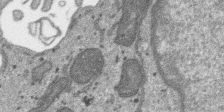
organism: Human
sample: Lung epithelial cells infected with SARS-CoV-2